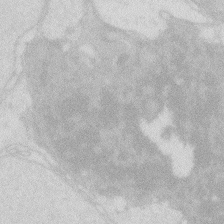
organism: Zebrafish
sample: Macrophage